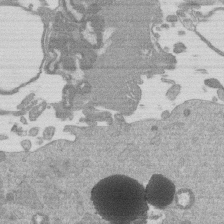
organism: Mouse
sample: Dividing mouse embryo 1 cell stage